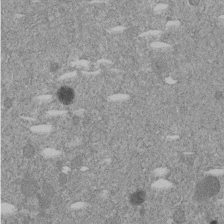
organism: C. elegans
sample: C. elegans embryo early stage